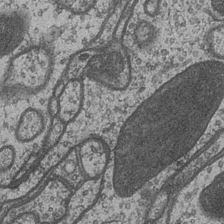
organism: Drosophila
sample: Optic medulla